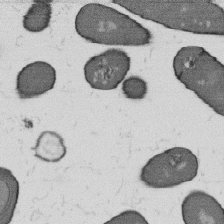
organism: B. subtilis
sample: Bacterial spore